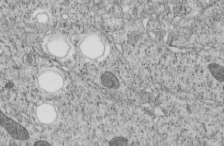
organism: C. elegans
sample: C. elegans embryo early stage